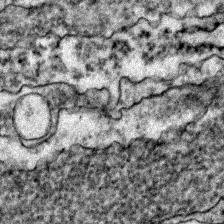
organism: Zebrafish